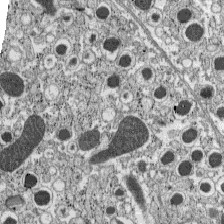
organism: C57BL Mouse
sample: Pancreatic islet